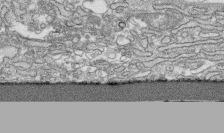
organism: Human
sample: CRL-1474